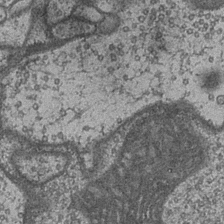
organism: Drosophila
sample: Optic medulla